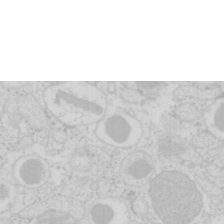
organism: Mouse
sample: Pancreas